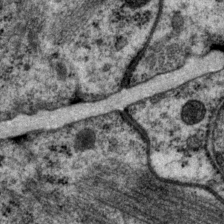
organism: P. pacificus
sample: Pharynx